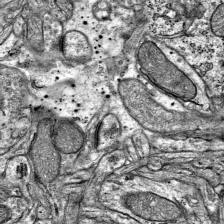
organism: Mouse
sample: Visual Cortex